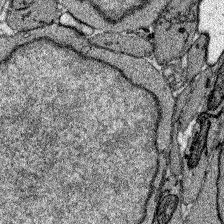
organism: Zebrafish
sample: Larval olfactory bulb